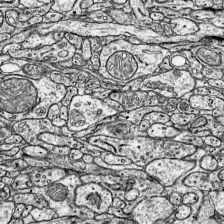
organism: Mouse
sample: Visual Cortex